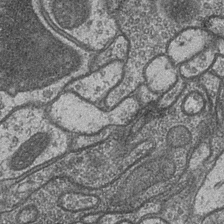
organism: Drosophila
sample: Optic medulla